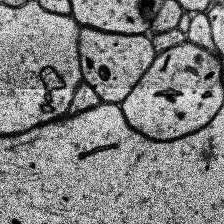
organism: Human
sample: Temporal Lobe